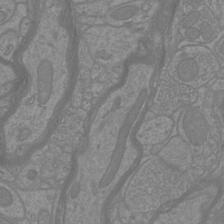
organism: Mouse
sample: Cortical neurons